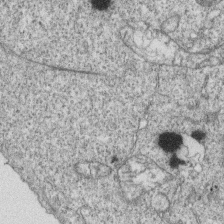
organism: Human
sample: HeLa cell HIV synapse